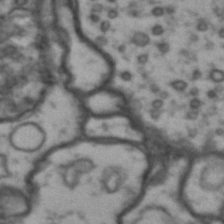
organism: Drosophila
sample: Brain